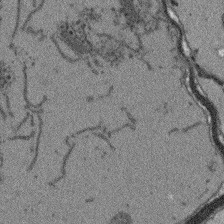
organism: Arabidopsis thaliana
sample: Root tip